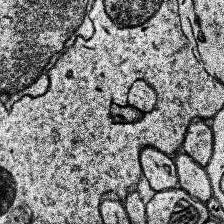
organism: Human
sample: Temporal Lobe